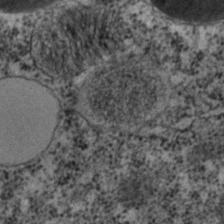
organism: C. elegans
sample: C. elegans embryo